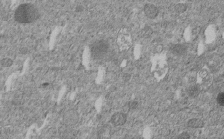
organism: C. elegans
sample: C. elegans embryo early stage